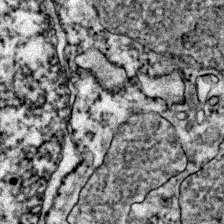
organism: Zebrafish